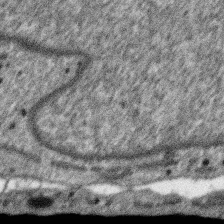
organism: Human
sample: Lung epithelial cells infected with SARS-CoV-2